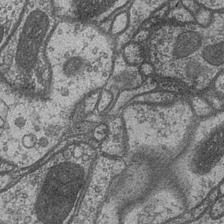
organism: Drosophila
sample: Optic medulla